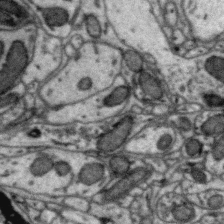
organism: Zebra finch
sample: Brain